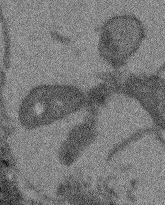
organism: Arabidopsis thaliana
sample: Root tip